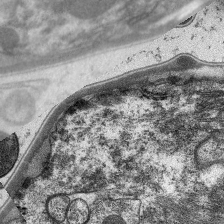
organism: C. elegans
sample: Pharynx